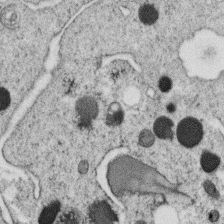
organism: C. elegans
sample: C. elegans oocyte; sperm cells